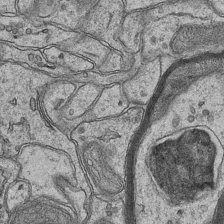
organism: Mouse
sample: CA1 Hippocampus